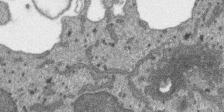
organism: Human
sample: Lung epithelial cells infected with SARS-CoV-2